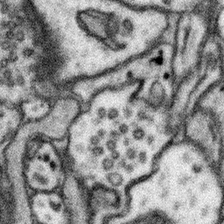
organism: Mouse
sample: Somatosensory cortex neuropil